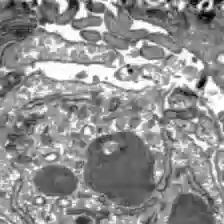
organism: C57BL Mouse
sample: Liver